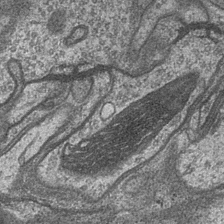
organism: Drosophila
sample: Optic medulla